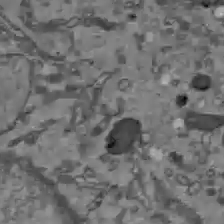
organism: C57BL Mouse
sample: Liver